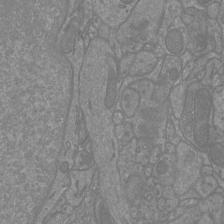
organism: Mouse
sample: Cortical neurons